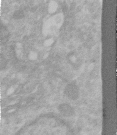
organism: Human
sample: Centriole in RPE cells